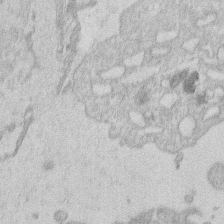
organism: Human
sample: Macrophage cells